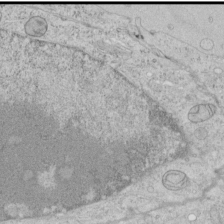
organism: Human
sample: Mitochondria in HCT116 cells